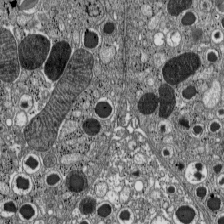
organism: C57BL Mouse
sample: Pancreatic islet